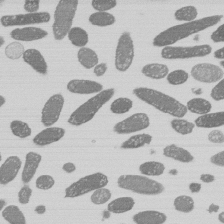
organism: E. coli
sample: Bacterial nucleoid